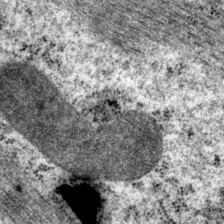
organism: P. pacificus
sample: Pharynx